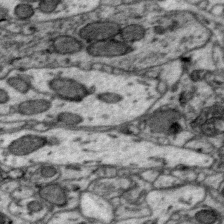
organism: Zebra finch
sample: Brain